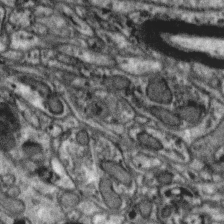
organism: Zebra finch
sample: Brain